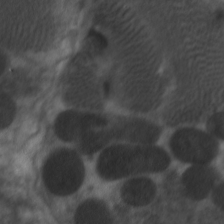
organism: C. elegans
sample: Pharynx